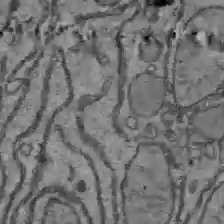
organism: C57BL Mouse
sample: Liver